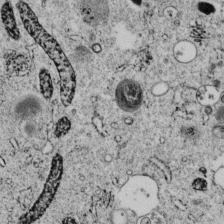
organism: C. elegans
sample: C. elegans embryo early stage